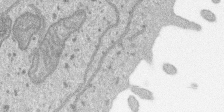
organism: Human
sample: Lung epithelial cells infected with SARS-CoV-2